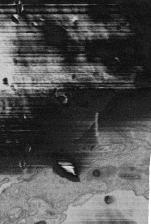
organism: Human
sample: Retinal organoid Rod and Cone cells